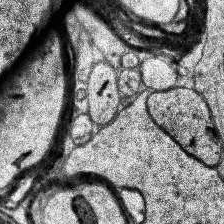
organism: Human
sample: Temporal Lobe